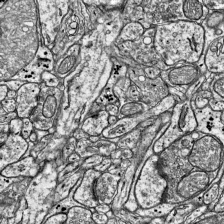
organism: Mouse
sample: Visual Cortex